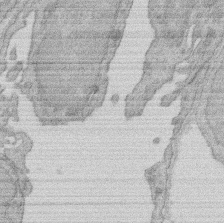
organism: Rat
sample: Salivary granule